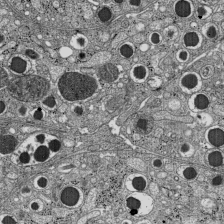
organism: C57BL Mouse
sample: Pancreatic islet